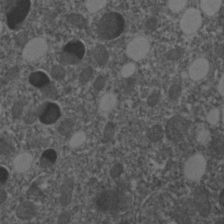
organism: C. elegans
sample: C. elegans embryo